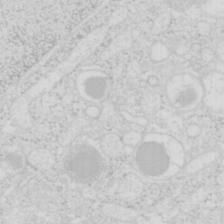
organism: Mouse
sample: Pancreas